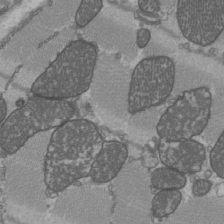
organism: C57BL Mouse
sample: Heart